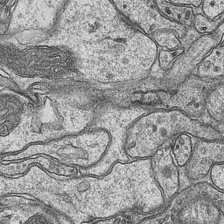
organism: Mouse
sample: CA1 Hippocampus